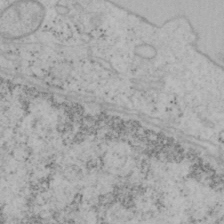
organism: Human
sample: HeLa cells